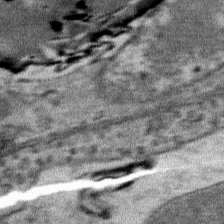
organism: Mouse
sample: Mouse Salivary gland